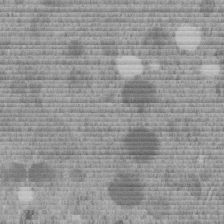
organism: C. elegans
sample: C. elegans embryo early stage